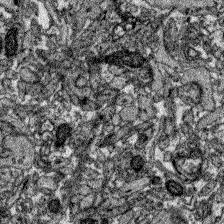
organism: Zebrafish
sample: Larval olfactory bulb